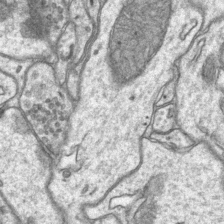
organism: Mouse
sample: CA1 Hippocampus